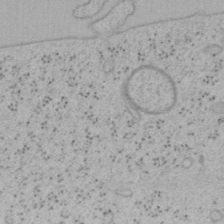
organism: Human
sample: HeLa cells